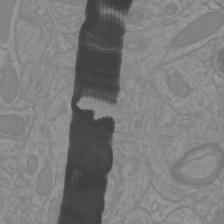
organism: Mouse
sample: Cortical neurons